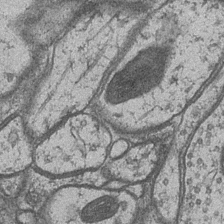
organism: Drosophila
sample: Optic medulla